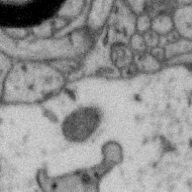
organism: Zebra finch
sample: Brain